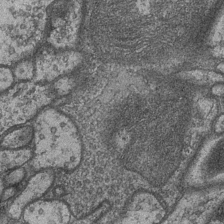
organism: Drosophila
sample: Optic medulla